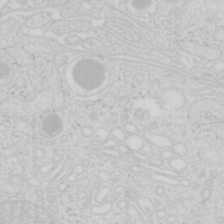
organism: Mouse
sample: Pancreas